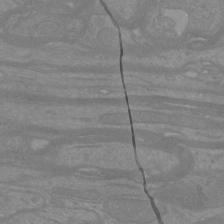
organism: Mouse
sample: Cortical neurons